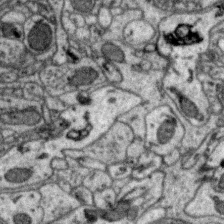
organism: Zebra finch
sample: Brain